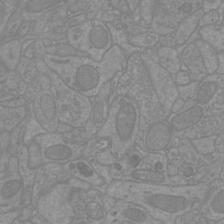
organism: Mouse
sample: Cortical neurons